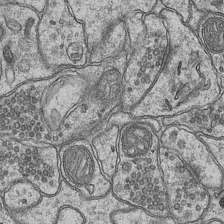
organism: Mouse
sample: CA1 Hippocampus